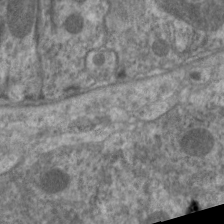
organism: C. elegans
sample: Pharynx